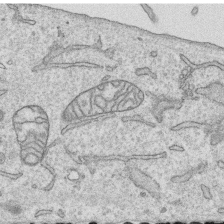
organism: Human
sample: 1205lu cells